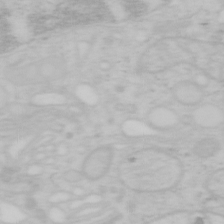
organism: Mouse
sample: OT-I killer T cells with ID8 ovarian cancer cells